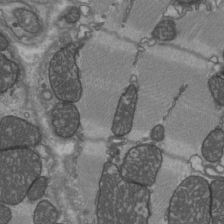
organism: C57BL Mouse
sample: Heart